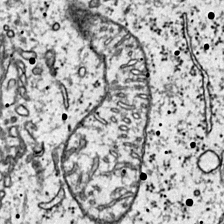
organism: Mouse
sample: Primary visual cortex